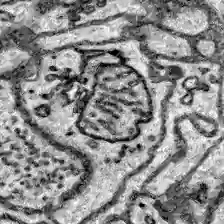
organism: Zebrafish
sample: Brain